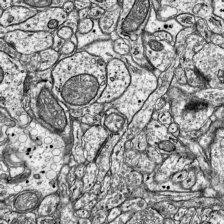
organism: Mouse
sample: Visual Cortex